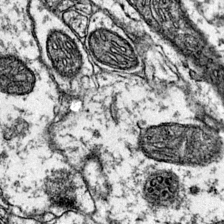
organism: Mouse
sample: Primary visual cortex